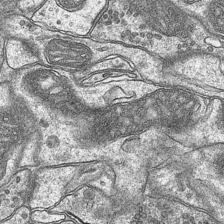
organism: Mouse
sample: CA1 Hippocampus